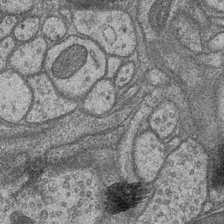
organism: Drosophila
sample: Optic medulla